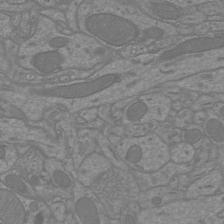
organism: Mouse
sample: Cortical neurons